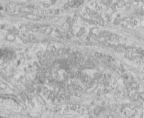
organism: Human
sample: Centriole in fibroblast cells